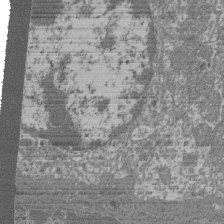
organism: Mouse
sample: Glomerulus